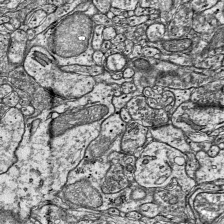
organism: Mouse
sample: Visual Cortex